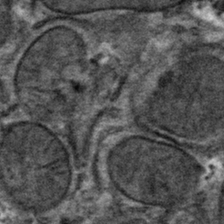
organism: Mouse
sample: Mouse hepatocytes